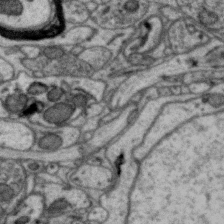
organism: Zebra finch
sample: Brain